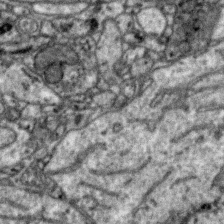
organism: Zebra finch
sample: Brain